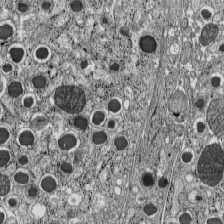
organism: C57BL Mouse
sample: Pancreatic islet